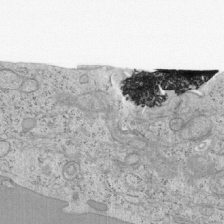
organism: Human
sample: HeLa cells